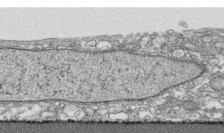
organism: Human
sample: CRL-1474